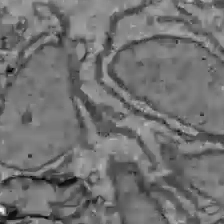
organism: C57BL Mouse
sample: Liver